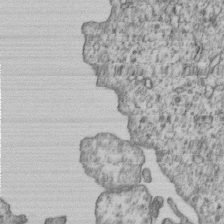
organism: Human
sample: MDA-MB-231 cells